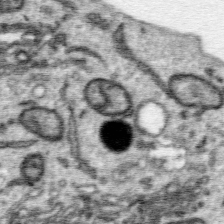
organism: Human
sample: HeLa cells